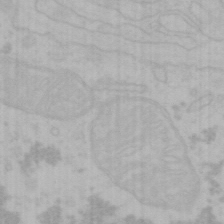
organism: Mouse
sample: Choroid plexus